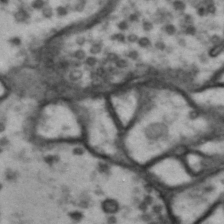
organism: Drosophila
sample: Brain